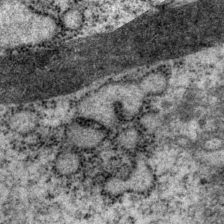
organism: P. pacificus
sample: Pharynx